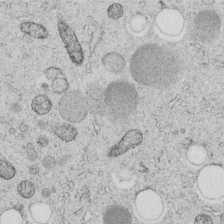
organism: C. elegans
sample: C. elegans embryo early stage